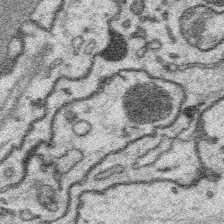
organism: Platynereis dumerilii